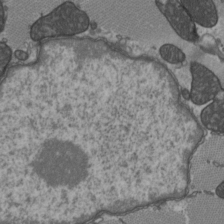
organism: C57BL Mouse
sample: Heart